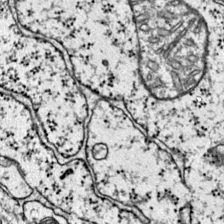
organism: Mouse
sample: Primary visual cortex